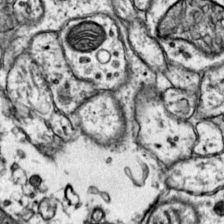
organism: Mouse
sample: Primary visual cortex